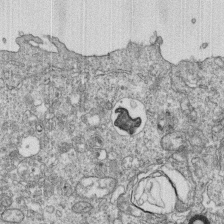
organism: Human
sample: HeLa cell HIV synapse